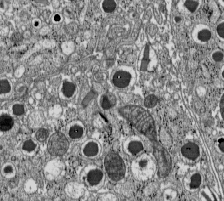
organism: C57BL Mouse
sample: Pancreatic islet